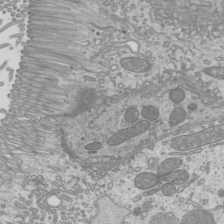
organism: Mouse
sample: Cilia; mouse epididymis